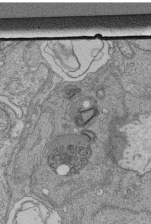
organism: Human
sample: Retinal organoid Rod and Cone cells